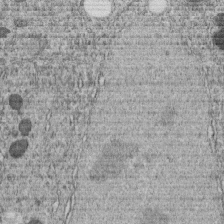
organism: C. elegans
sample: C. elegans embryo early stage